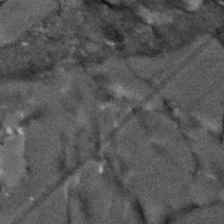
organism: Human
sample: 1205lu cells